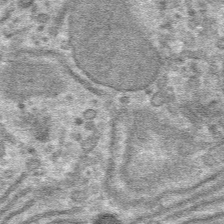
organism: Mouse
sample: Mouse hepatocytes